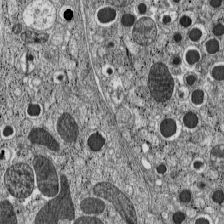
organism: C57BL Mouse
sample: Pancreatic islet